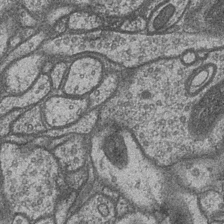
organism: Drosophila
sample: Optic medulla